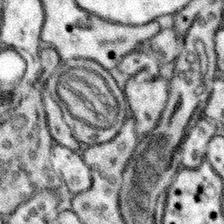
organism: Mouse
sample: Somatosensory cortex neuropil